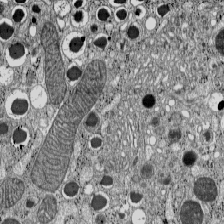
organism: C57BL Mouse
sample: Pancreatic islet